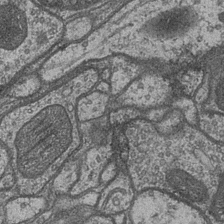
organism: Drosophila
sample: Optic medulla